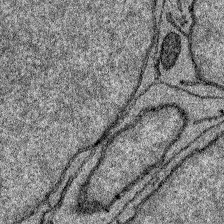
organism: Zebrafish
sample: Larval olfactory bulb